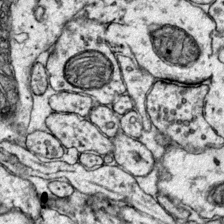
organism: Mouse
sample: Primary visual cortex